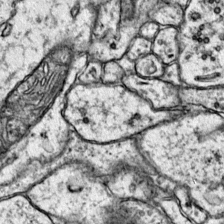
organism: Mouse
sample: Primary visual cortex